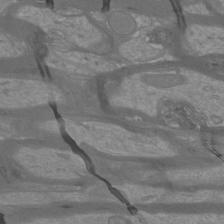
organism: Mouse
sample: Cortical neurons